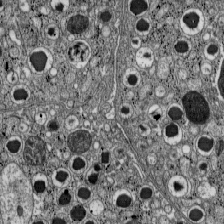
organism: C57BL Mouse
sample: Pancreatic islet